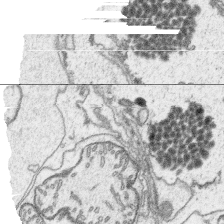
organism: Platynereis dumerilii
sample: Parapodia